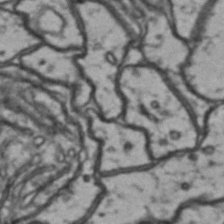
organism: Drosophila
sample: Brain